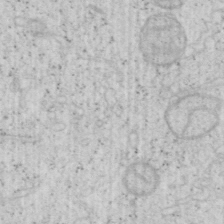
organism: Human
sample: HeLa cells